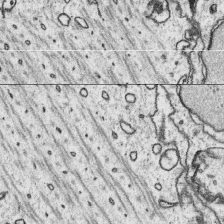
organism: Platynereis dumerilii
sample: Parapodia